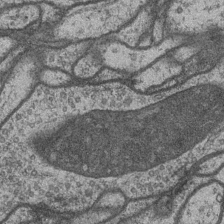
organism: Drosophila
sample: Optic medulla